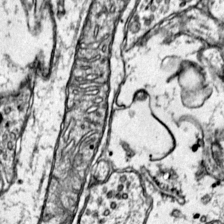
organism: Mouse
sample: Primary visual cortex